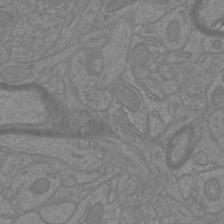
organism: Mouse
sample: Cortical neurons